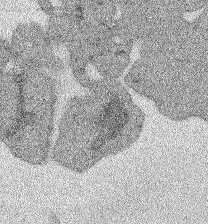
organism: Human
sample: HeLa cells